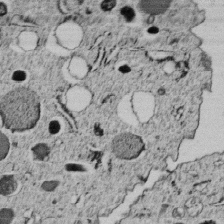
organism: C. elegans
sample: C. elegans embryo early stage